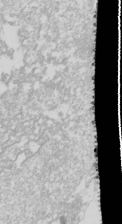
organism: Drosophila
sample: Cell division; meiosis; drosophila spermatocytes